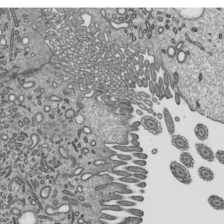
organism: Mouse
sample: Mouse epididymis efferent ductule cilia